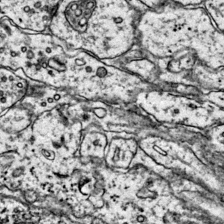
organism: Mouse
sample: Primary visual cortex